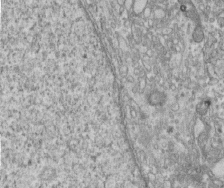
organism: Human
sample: Centriole in fibroblast cells